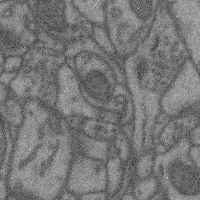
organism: Mouse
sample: Cerebral cortex